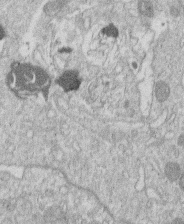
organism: Human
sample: Macrophage cells